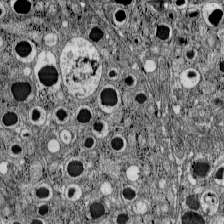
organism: C57BL Mouse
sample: Pancreatic islet